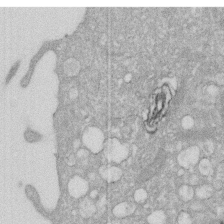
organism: Human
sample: HIV infected U937 cells